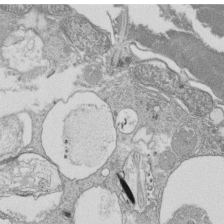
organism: Tetrahymena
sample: Cilia in tetrahymena